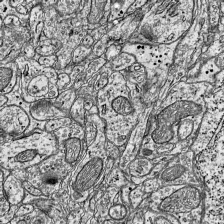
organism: Mouse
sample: Visual Cortex